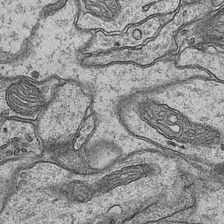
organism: Mouse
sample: CA1 Hippocampus